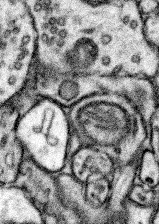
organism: Mouse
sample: Somatosensory cortex neuropil